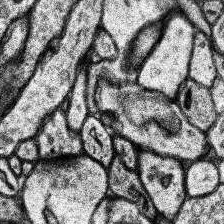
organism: Human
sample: Temporal Lobe